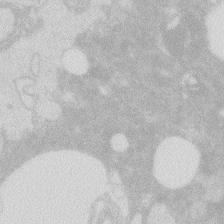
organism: Zebrafish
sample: Macrophage